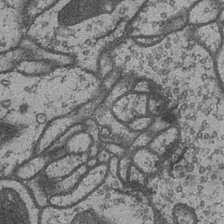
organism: Drosophila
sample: Optic medulla